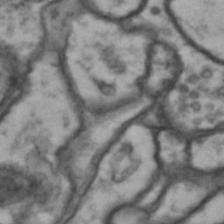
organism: Drosophila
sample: Brain